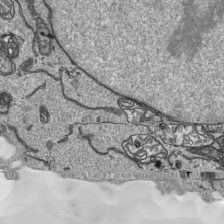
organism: Human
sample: Mitochondria in HCT116 cells